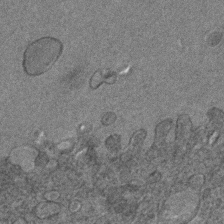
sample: Trachea